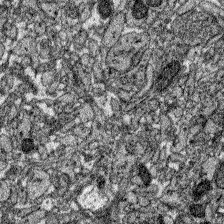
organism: Zebrafish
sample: Larval olfactory bulb